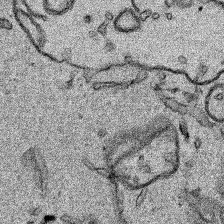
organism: Human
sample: Mitochondria in HCT116 cells